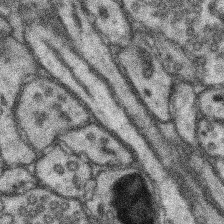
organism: Mouse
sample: Somatosensory cortex neuropil